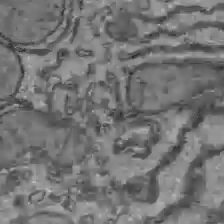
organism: C57BL Mouse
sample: Liver